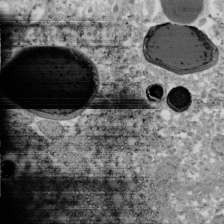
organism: Xenopus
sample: Cilia; centrioles in frog embryo cells